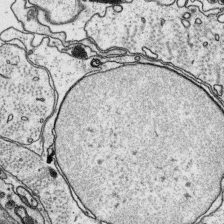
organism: Platynereis dumerilii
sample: Parapodia